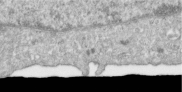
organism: Human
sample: Centriole in RPE cells